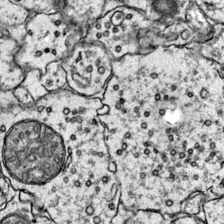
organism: Mouse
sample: Primary visual cortex